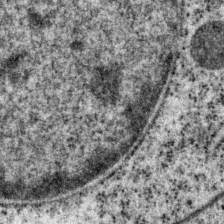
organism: P. pacificus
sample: Pharynx